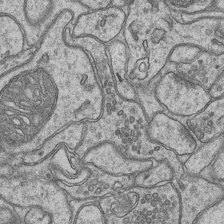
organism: Mouse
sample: CA1 Hippocampus